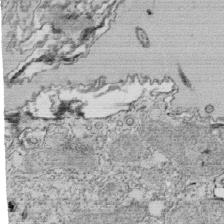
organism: Tetrahymena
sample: Cilia in tetrahymena